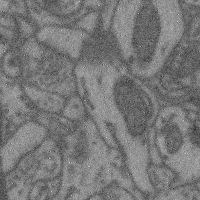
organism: Mouse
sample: Cerebral cortex